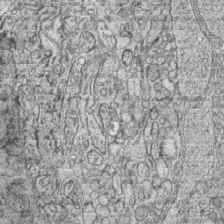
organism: Zebrafish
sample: synaptic ribbons in rod cells and cone cells